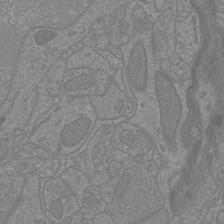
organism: Mouse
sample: Cortical neurons